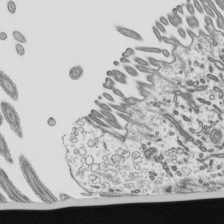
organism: Mouse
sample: Mouse epididymis efferent ductule cilia